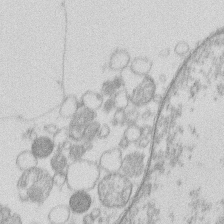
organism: Human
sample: Macrophage cells